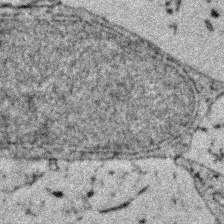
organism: Zebrafish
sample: Zebrafish embryo